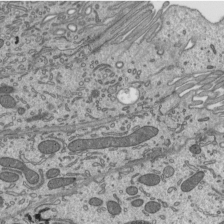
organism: Mouse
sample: Mouse epididymis efferent ductule cilia